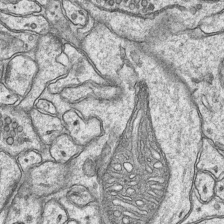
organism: Mouse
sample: CA1 Hippocampus